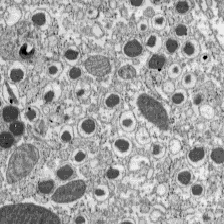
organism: C57BL Mouse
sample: Pancreatic islet